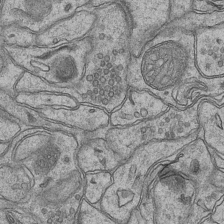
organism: Mouse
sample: CA1 Hippocampus